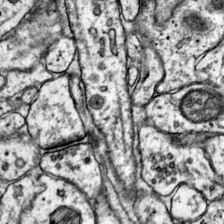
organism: Mouse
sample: Primary visual cortex